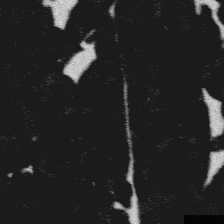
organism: Platynereis dumerilii